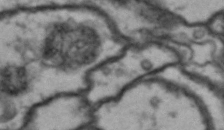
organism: Drosophila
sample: Brain